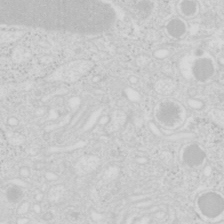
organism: Mouse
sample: Pancreas